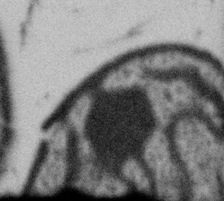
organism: Gemmata obscuriglobus